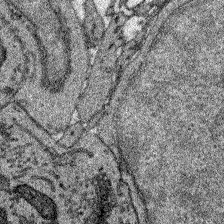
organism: Zebrafish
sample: Larval olfactory bulb